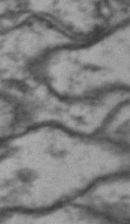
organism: Drosophila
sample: Brain